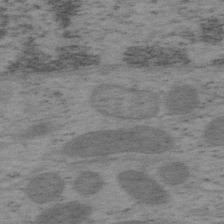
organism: Mouse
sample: OT-I killer T cells with ID8 ovarian cancer cells